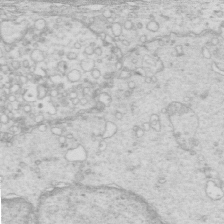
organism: Mouse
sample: Multiciliated cells